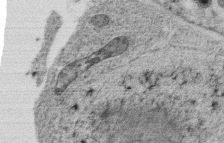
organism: C. elegans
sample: C. elegans oocyte; sperm cells